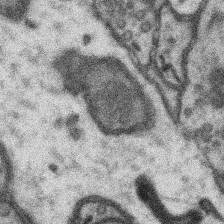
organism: Mouse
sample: Somatosensory cortex neuropil